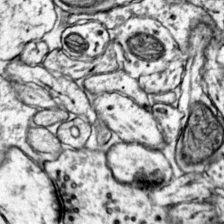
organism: Mouse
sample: Primary visual cortex